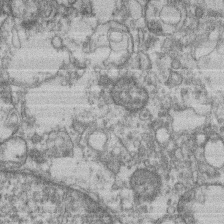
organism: Mouse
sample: T cell stromal cell synapse